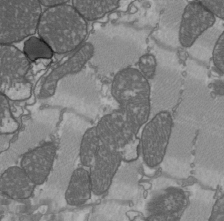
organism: C57BL Mouse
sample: Heart